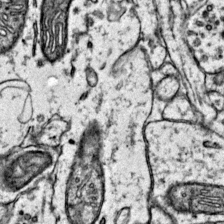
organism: Mouse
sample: Primary visual cortex